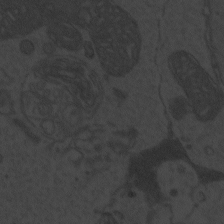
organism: Zebrafish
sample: Macrophage infected with Toxoplasma gondii